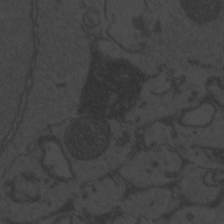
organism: Zebrafish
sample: Macrophage infected with Toxoplasma gondii